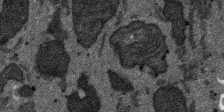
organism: Human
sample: Lung epithelial cells infected with SARS-CoV-2